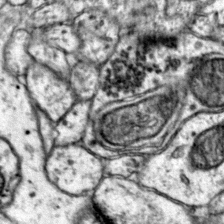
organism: Mouse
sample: Primary visual cortex